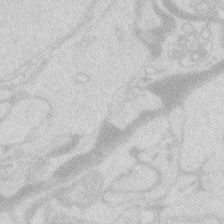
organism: Zebrafish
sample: Macrophage